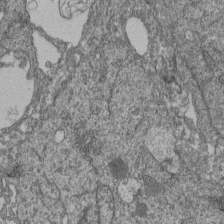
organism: Human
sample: Retinal organoid Rod and Cone cells